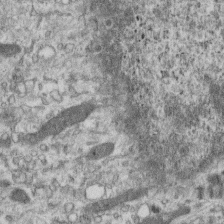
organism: Mouse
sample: Centriole in ependymal cells